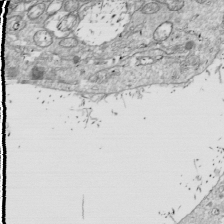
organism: Drosophila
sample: Cell division; meiosis; drosophila spermatocytes